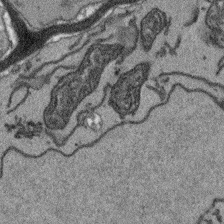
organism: Arabidopsis thaliana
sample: Root tip